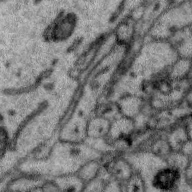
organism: Zebra finch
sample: Brain